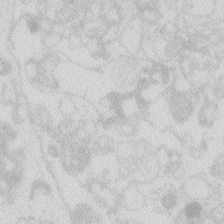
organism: Zebrafish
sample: Macrophage